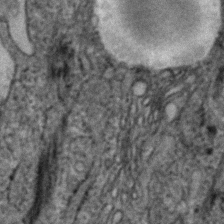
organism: Human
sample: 1205lu cells